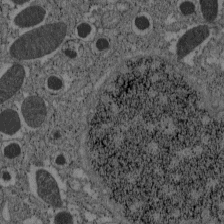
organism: C57BL Mouse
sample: Pancreatic islet